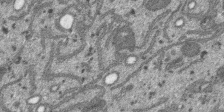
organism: Human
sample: Lung epithelial cells infected with SARS-CoV-2